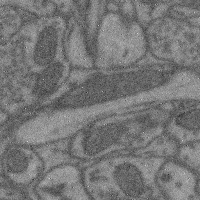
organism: Mouse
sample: Cerebral cortex